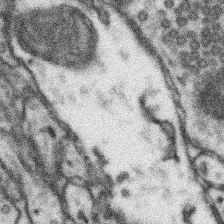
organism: Mouse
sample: Somatosensory cortex neuropil